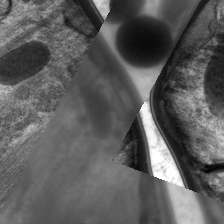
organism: C. elegans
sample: Pharynx